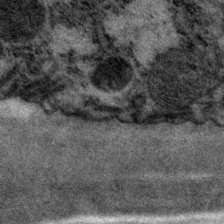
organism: P. pacificus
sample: Pharynx